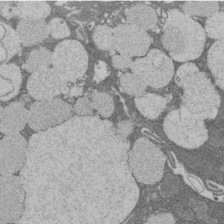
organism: Rat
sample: Salivary granule